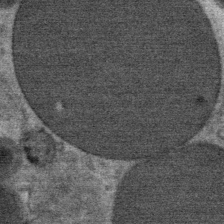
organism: Mouse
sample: Mouse Salivary gland